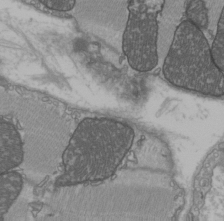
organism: C57BL Mouse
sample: Heart